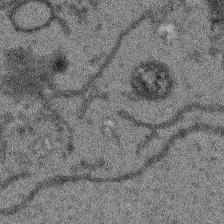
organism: Arabidopsis thaliana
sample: Root tip